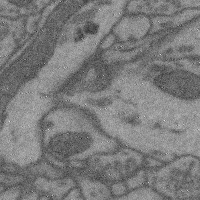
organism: Mouse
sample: Cerebral cortex